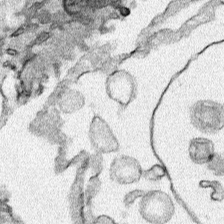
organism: Human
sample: Mitochondria in HCT116 cells